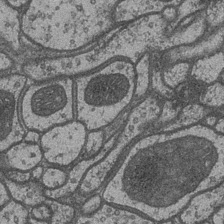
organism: Drosophila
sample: Optic medulla